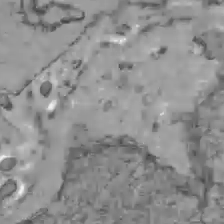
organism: C57BL Mouse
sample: Liver